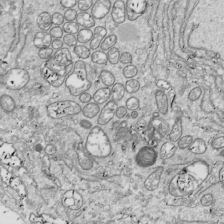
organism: Drosophila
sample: Cell division; meiosis; drosophila spermatocytes